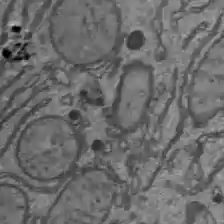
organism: C57BL Mouse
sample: Liver